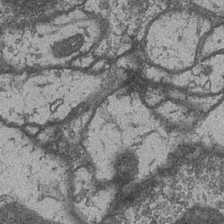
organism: Drosophila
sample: Optic medulla